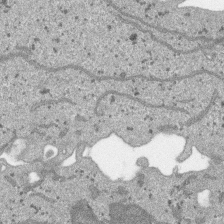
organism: Human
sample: Lung epithelial cells infected with SARS-CoV-2